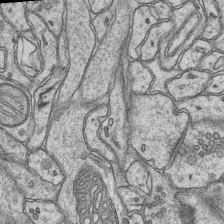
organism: Mouse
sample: CA1 Hippocampus